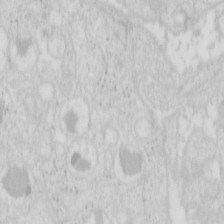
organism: Mouse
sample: Pancreas